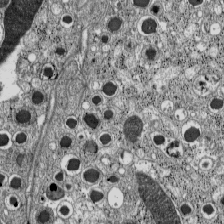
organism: C57BL Mouse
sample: Pancreatic islet